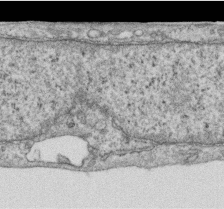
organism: Human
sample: Centriole in RPE cells